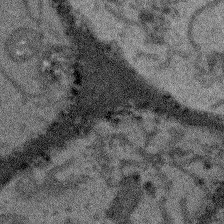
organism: Arabidopsis thaliana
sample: Root tip